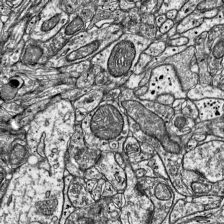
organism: Mouse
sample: Visual Cortex